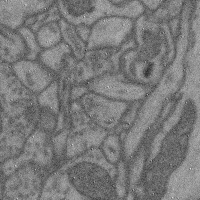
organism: Mouse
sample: Cerebral cortex